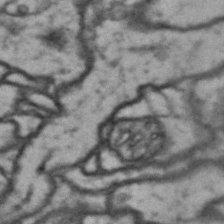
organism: Drosophila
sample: Brain